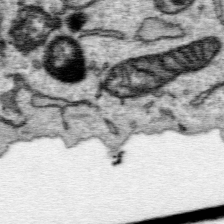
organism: Human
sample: HeLa cells